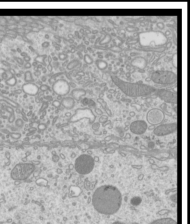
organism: Mouse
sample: Cilia; mouse epididymis